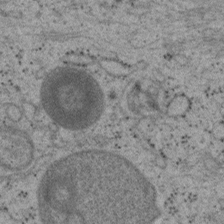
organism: Human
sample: HeLa cells